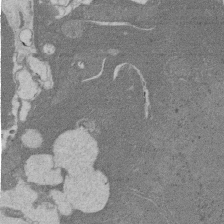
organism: Rat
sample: Salivary granule